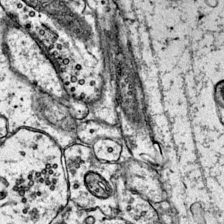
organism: Mouse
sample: Primary visual cortex